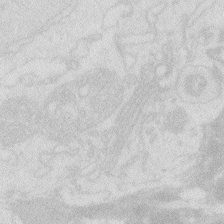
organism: Zebrafish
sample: Macrophage